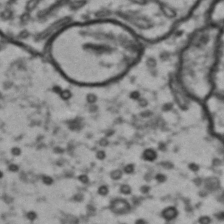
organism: Drosophila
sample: Brain